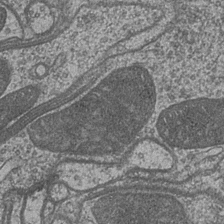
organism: Drosophila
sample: Optic medulla